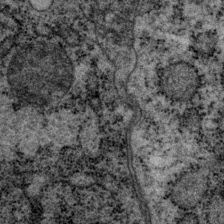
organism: P. pacificus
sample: Pharynx